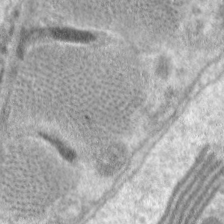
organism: C. elegans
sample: Pharynx